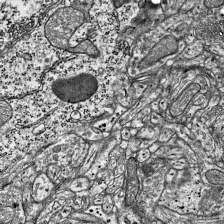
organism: Mouse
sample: Visual Cortex